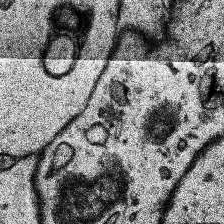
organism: Human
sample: Temporal Lobe